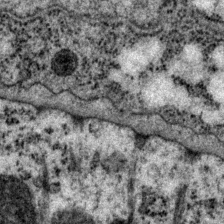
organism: P. pacificus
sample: Pharynx